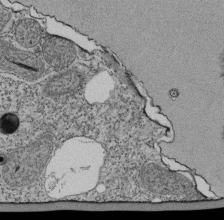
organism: Tetrahymena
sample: Cilia in tetrahymena